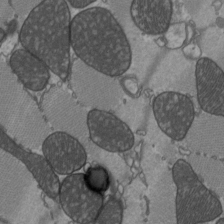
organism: C57BL Mouse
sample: Heart